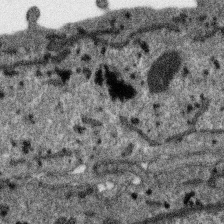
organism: Human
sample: Lung epithelial cells infected with SARS-CoV-2